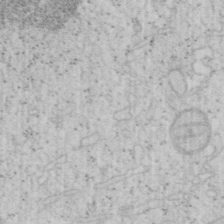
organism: Human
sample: HeLa cells